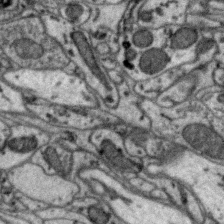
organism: Zebra finch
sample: Brain